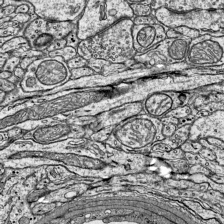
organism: Mouse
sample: Visual Cortex